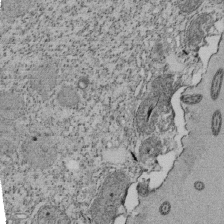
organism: Tetrahymena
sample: Cilia in tetrahymena